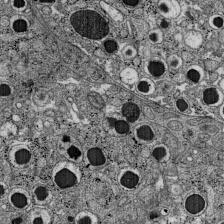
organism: C57BL Mouse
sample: Pancreatic islet